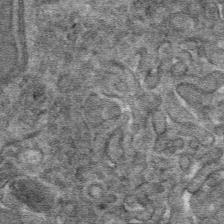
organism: Mouse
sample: Mouse hepatocytes